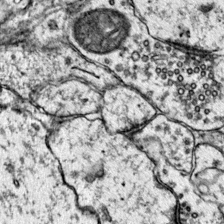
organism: Mouse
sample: Primary visual cortex